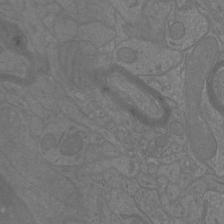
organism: Mouse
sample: Cortical neurons